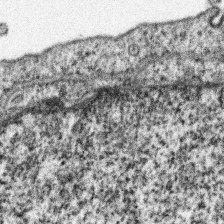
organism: Human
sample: HeLa cells